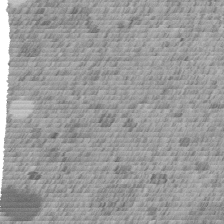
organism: C. elegans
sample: C. elegans embryo early stage